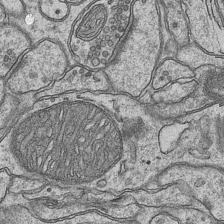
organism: Mouse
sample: CA1 Hippocampus